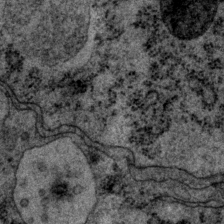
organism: P. pacificus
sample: Pharynx